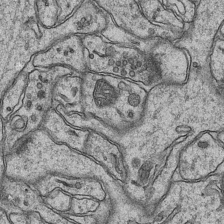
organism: Mouse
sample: CA1 Hippocampus